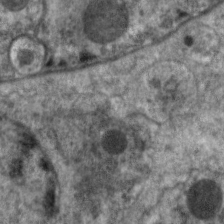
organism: C. elegans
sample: Pharynx